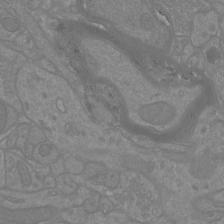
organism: Mouse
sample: Cortical neurons